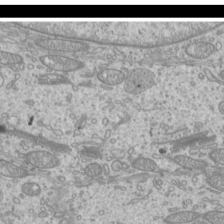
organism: Mouse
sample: Cilia; mouse epididymis